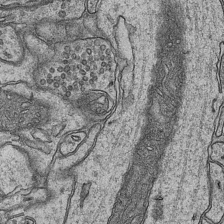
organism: Mouse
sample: CA1 Hippocampus